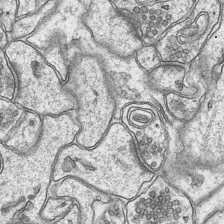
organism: Mouse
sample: CA1 Hippocampus